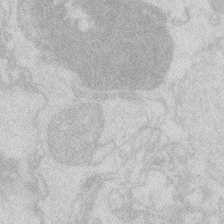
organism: Zebrafish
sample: Macrophage